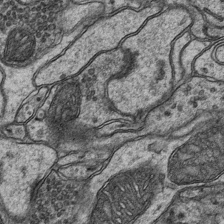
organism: Mouse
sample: CA1 Hippocampus